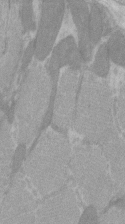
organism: C57BL Mouse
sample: Tibialis anterior muscle cell